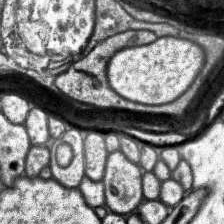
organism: Human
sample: Temporal Lobe